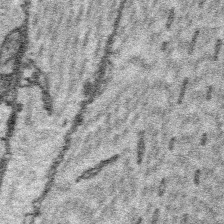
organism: Platynereis dumerilii